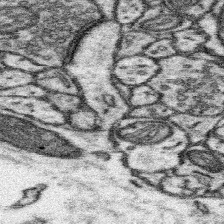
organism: Mouse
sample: Somatosensory cortex neuropil